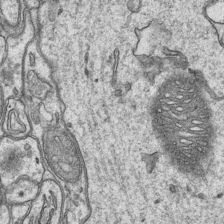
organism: Mouse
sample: CA1 Hippocampus